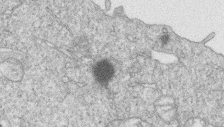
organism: Human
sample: HeLa cell HIV synapse